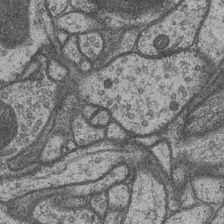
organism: Drosophila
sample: Optic medulla